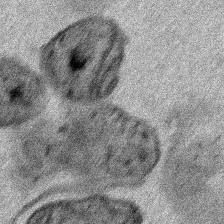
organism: Human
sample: Mitochondria in HCT116 cells